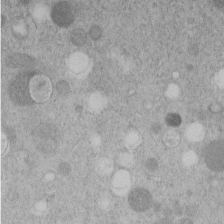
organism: C. elegans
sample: C. elegans embryo early stage